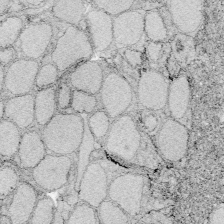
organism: Zebrafish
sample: Whole-Brain